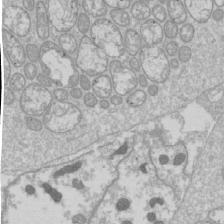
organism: Drosophila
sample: Cell division; meiosis; drosophila spermatocytes